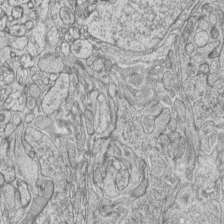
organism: Zebrafish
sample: synaptic ribbons in rod cells and cone cells